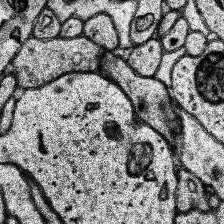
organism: Human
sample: Temporal Lobe